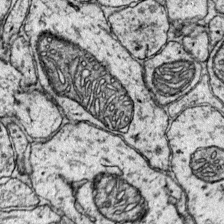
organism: Mouse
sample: Primary visual cortex